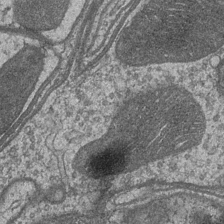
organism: Drosophila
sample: Optic medulla